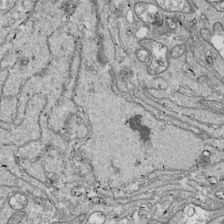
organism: Drosophila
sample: Cell division; meiosis; drosophila spermatocytes